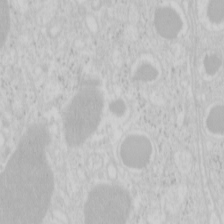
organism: Mouse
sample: Pancreas